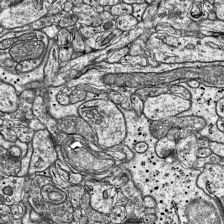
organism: Mouse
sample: Visual Cortex